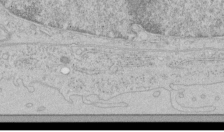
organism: Human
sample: Mitochondria in HCT116 cells